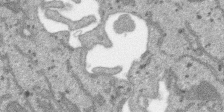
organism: Human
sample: Lung epithelial cells infected with SARS-CoV-2